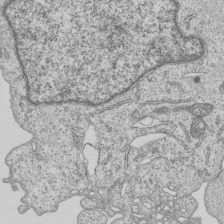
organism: Human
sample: MDA-MB-231 cells